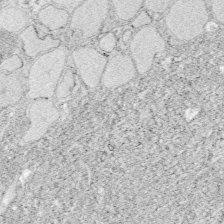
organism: Zebrafish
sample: Whole-Brain